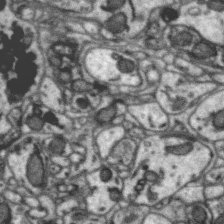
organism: Zebra finch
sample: Brain